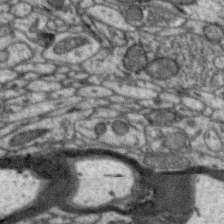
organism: Zebra finch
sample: Brain